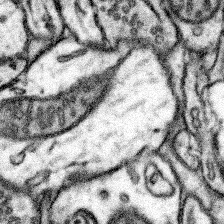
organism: Mouse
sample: Somatosensory cortex neuropil